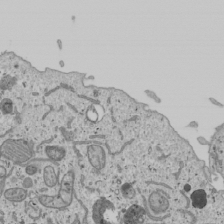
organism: Human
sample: Mitochondria in U2OS cells